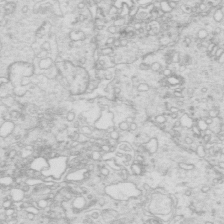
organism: Mouse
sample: Multiciliated cells